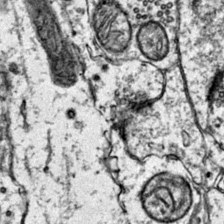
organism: Mouse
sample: Primary visual cortex